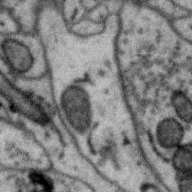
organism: Zebra finch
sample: Brain